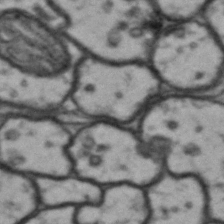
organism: Drosophila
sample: Brain